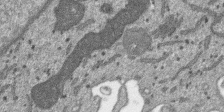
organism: Human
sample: Lung epithelial cells infected with SARS-CoV-2